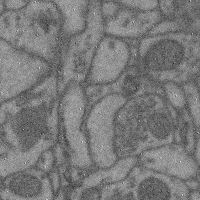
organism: Mouse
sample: Cerebral cortex